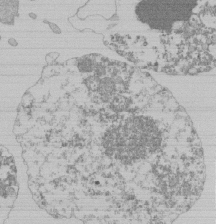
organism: Mouse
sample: Activated Pmel transgenic CD8+ T Cells